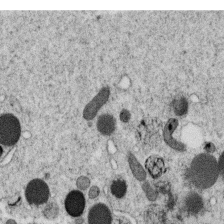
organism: C. elegans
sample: C. elegans oocyte; sperm cells